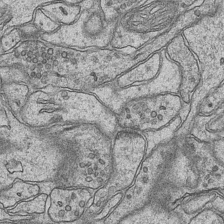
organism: Mouse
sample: CA1 Hippocampus